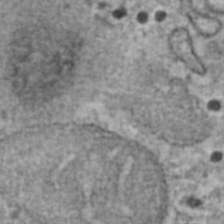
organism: Human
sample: Blood